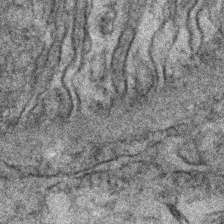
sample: Kidney